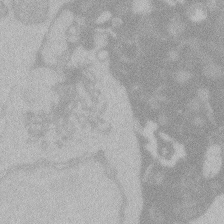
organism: Zebrafish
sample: Macrophage infected with Toxoplasma gondii